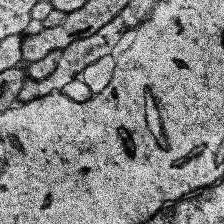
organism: Human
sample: Temporal Lobe